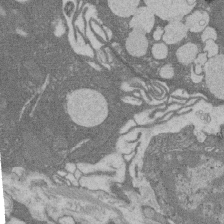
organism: Rat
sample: Salivary granule